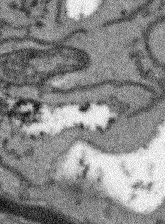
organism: Arabidopsis thaliana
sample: Root tip